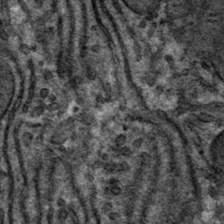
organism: Mouse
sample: Mouse hepatocytes